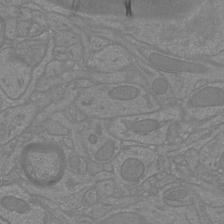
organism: Mouse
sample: Cortical neurons